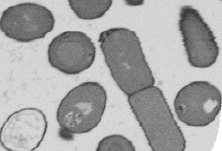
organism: B. subtilis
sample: Bacterial spore